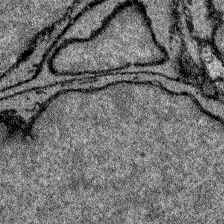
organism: Zebrafish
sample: Larval olfactory bulb